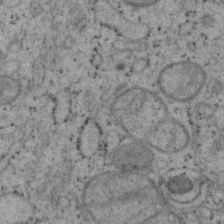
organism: Human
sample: HeLa cells